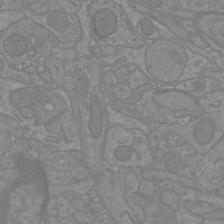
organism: Mouse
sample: Cortical neurons